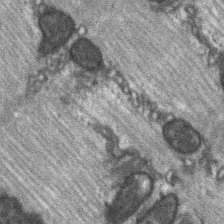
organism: C57BL Mouse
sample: Soleus